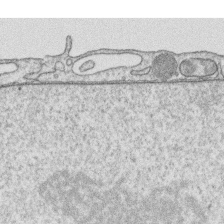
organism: Human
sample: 1205lu cells